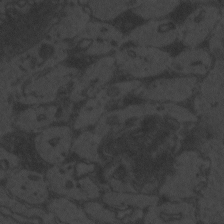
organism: Zebrafish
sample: Macrophage infected with Toxoplasma gondii